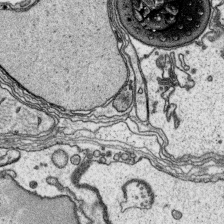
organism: Platynereis dumerilii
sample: Parapodia